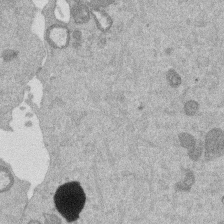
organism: Mouse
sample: Dividing mouse embryo 1 cell stage